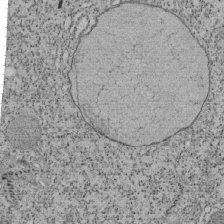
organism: Tetrahymena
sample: Cilia in tetrahymena